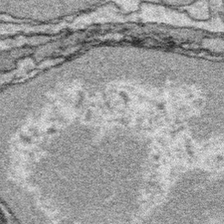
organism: Platynereis dumerilii